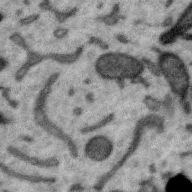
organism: Zebra finch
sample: Brain